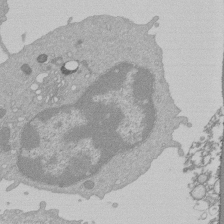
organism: Mouse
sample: Activated Pmel transgenic CD8+ T Cells